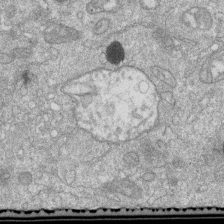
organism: Human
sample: HeLa cell HIV synapse